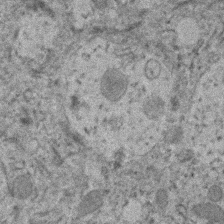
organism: Human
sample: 1205lu cells